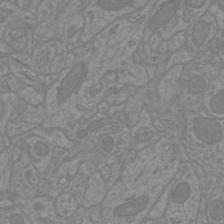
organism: Mouse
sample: Cortical neurons